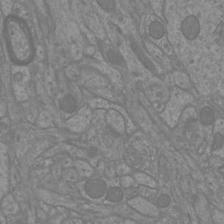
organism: Mouse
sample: Cortical neurons